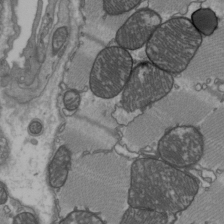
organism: C57BL Mouse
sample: Heart